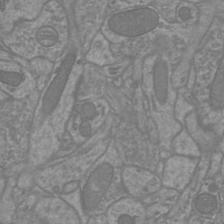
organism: Mouse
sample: Cortical neurons